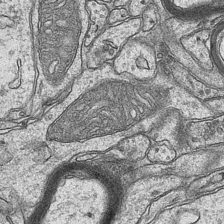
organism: Mouse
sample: CA1 Hippocampus